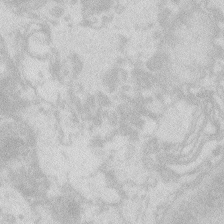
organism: Zebrafish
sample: Macrophage